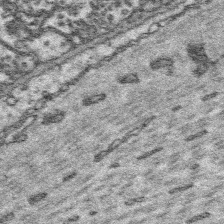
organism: Platynereis dumerilii